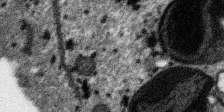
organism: Human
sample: Lung epithelial cells infected with SARS-CoV-2